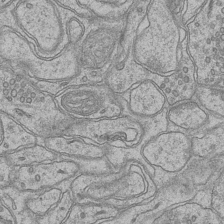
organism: Mouse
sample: CA1 Hippocampus